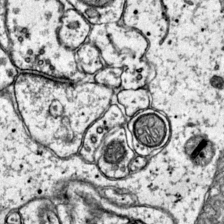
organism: Mouse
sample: Primary visual cortex